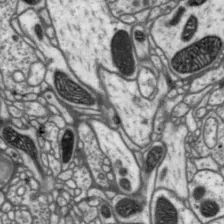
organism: Drosophila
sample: Protocerebral bridge